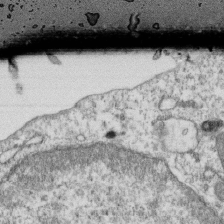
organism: Mouse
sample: Activated OT-1 CD8+ T cells